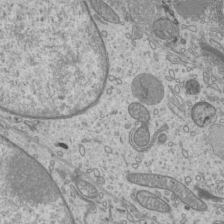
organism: Mouse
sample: Cilia; mouse epididymis